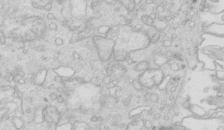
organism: Mouse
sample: Multiciliated cells